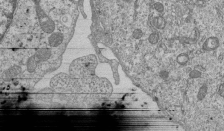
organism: Human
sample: MDA-MB-231 cells